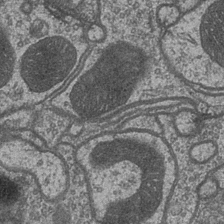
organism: Drosophila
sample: Optic medulla